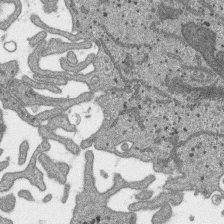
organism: Human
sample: Lung epithelial cells infected with SARS-CoV-2